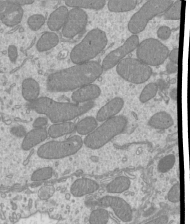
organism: Mouse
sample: Cilia; mouse epididymis